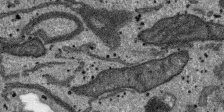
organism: Human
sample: Lung epithelial cells, uninfected (mock) control